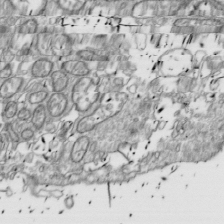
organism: Drosophila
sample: Cell division; meiosis; drosophila spermatocytes